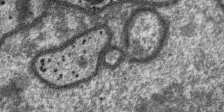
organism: Human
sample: Lung epithelial cells infected with SARS-CoV-2